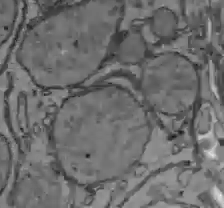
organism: C57BL Mouse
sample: Liver